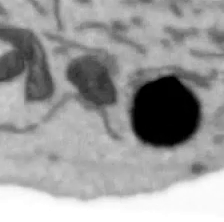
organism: Human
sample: SH-SY5Y cells